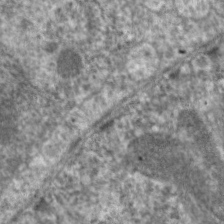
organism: C. elegans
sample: Pharynx